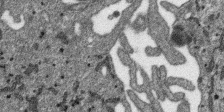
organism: Human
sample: Lung epithelial cells infected with SARS-CoV-2